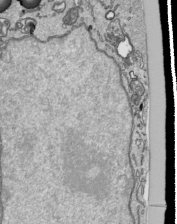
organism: Human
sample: Mitochondria in HCT116 cells